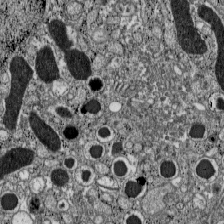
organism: C57BL Mouse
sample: Pancreatic islet